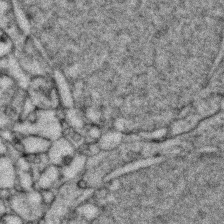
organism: Zebrafish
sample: Zebrafish embryo